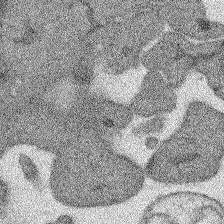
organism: Human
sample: HeLa cells